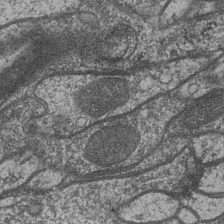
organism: Drosophila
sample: Optic medulla